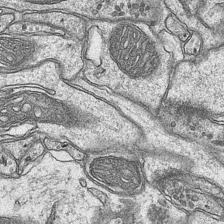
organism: Mouse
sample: CA1 Hippocampus